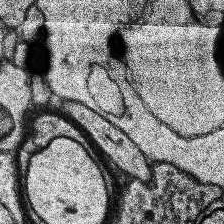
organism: Human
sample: Temporal Lobe